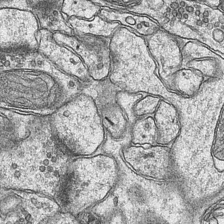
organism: Mouse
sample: CA1 Hippocampus